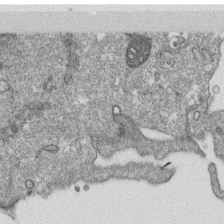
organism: African green monkey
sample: Vero E6 cells infected with SARS-CoV-2